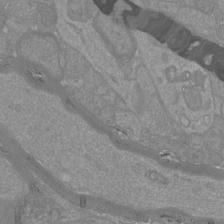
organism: Mouse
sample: Cortical neurons